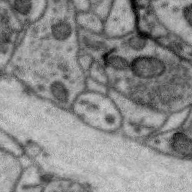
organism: Zebra finch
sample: Brain